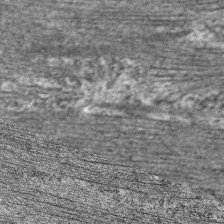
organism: C. elegans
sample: Pharynx